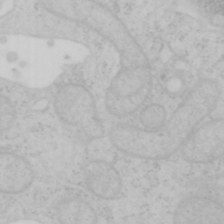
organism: Mouse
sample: OT-I killer T cells with ID8 ovarian cancer cells